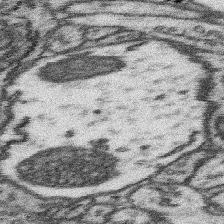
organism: Mouse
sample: Somatosensory cortex neuropil